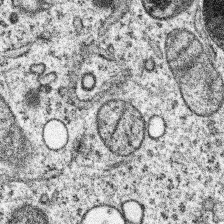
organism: Human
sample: HeLa cells